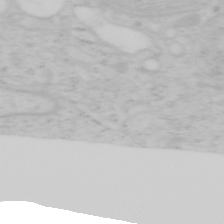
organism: Mouse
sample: OT-I killer T cells with ID8 ovarian cancer cells